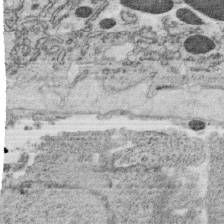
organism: C. elegans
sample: C. elegans oocyte; sperm cells